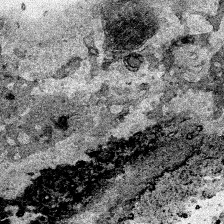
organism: Human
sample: Mitochondria in HCT116 cells